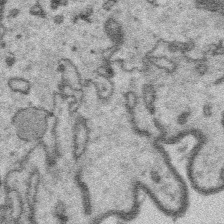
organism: Platynereis dumerilii